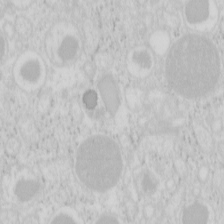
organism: Mouse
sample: Pancreas